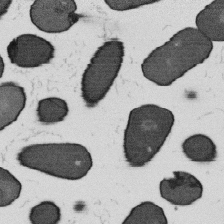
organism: B. subtilis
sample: Bacterial spore